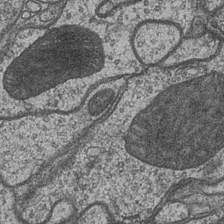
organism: Drosophila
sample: Optic medulla